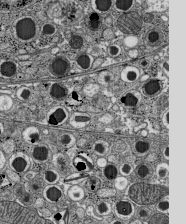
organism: C57BL Mouse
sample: Pancreatic islet